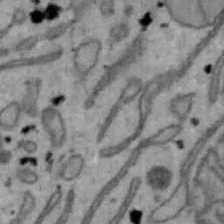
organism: Mouse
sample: Liver